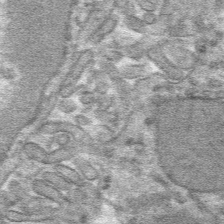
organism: Mouse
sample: Mouse hepatocytes